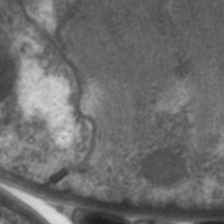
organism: C. elegans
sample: Pharynx